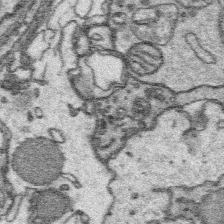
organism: Platynereis dumerilii